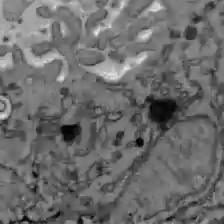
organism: C57BL Mouse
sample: Liver